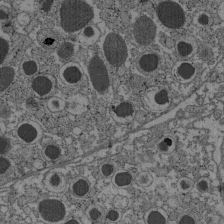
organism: C57BL Mouse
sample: Pancreatic islet